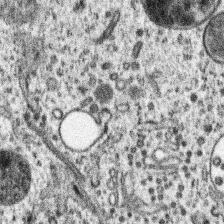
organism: Human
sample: HeLa cells